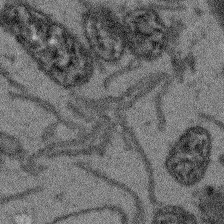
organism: Arabidopsis thaliana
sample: Root tip